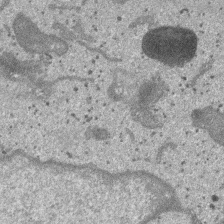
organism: Human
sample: Lung epithelial cells infected with SARS-CoV-2